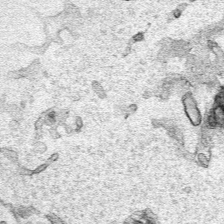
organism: Human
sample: Mitochondria in HCT116 cells